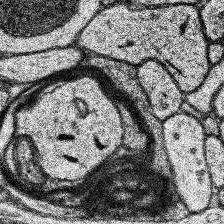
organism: Human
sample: Temporal Lobe